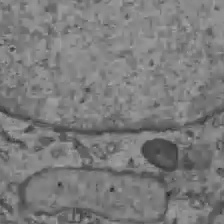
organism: C57BL Mouse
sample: Liver